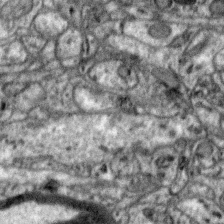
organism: Zebra finch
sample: Brain